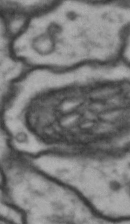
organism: Drosophila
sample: Brain